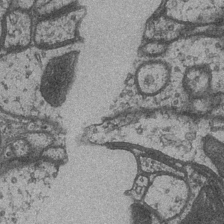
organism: Drosophila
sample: Optic medulla